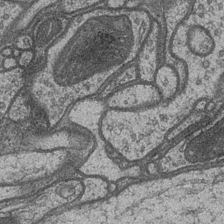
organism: Drosophila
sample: Optic medulla